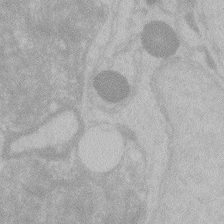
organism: Zebrafish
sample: Macrophage infected with Toxoplasma gondii